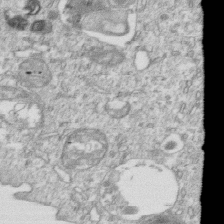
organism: Mouse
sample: Activated OT-1 CD8+ T cells